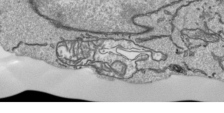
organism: Human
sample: Mitochondria in HCT116 cells